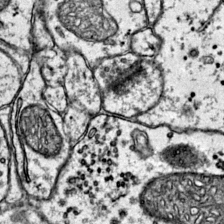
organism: Mouse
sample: Primary visual cortex